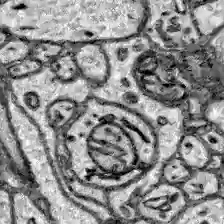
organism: Zebrafish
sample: Brain